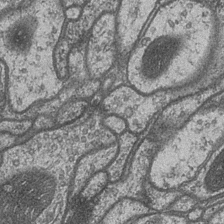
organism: Drosophila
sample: Optic medulla